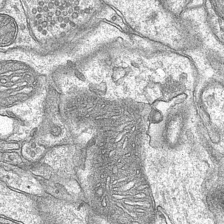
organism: Mouse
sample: CA1 Hippocampus